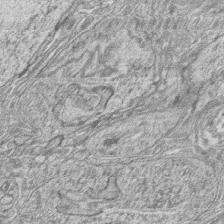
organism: Zebrafish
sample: synaptic ribbons in rod cells and cone cells